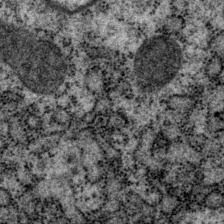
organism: P. pacificus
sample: Pharynx